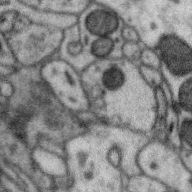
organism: Zebra finch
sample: Brain